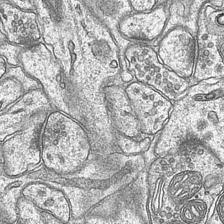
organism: Mouse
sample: CA1 Hippocampus